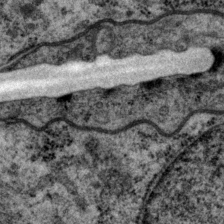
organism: P. pacificus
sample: Pharynx